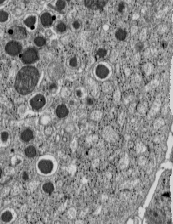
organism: C57BL Mouse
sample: Pancreatic islet